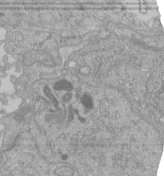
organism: Human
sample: Retinal organoid Rod and Cone cells